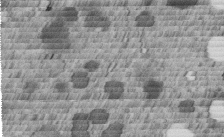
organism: C. elegans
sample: C. elegans embryo early stage